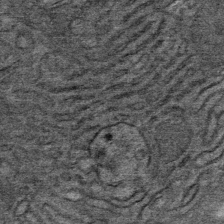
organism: Mouse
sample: Mouse Salivary gland